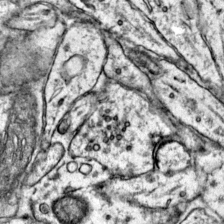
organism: Mouse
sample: Primary visual cortex